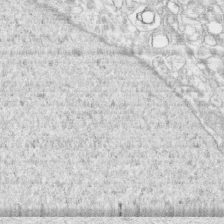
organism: Human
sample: CRL-1474